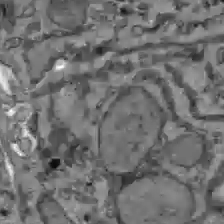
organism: C57BL Mouse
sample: Liver